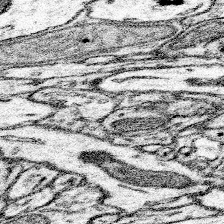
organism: Mouse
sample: Somatosensory cortex neuropil